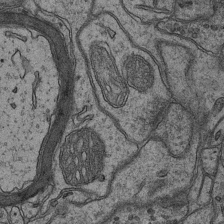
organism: Mouse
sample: CA1 Hippocampus